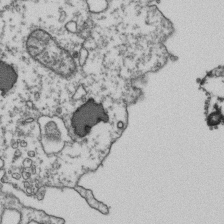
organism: Human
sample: Activated Jurkat CD4+ T cells